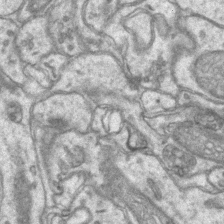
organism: Mouse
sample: CA1 Hippocampus